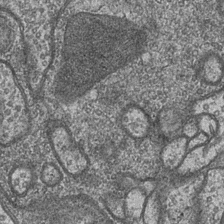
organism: Drosophila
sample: Optic medulla